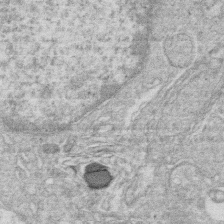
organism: Human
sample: Macrophage cells